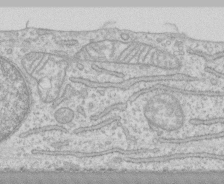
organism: Human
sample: CRL-1474